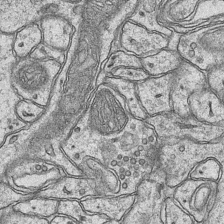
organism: Mouse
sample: CA1 Hippocampus